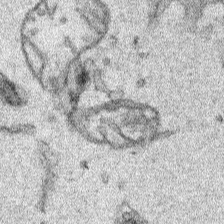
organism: Human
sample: Mitochondria in HCT116 cells